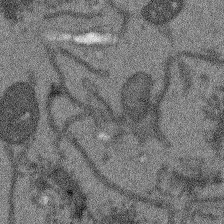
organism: Arabidopsis thaliana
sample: Root tip